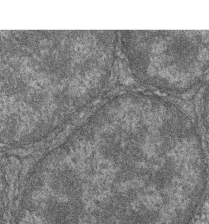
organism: Zebrafish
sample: Cilia; retinal pigment epithelium